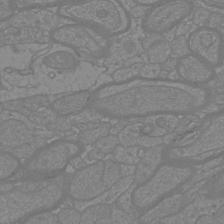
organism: Mouse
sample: Cortical neurons